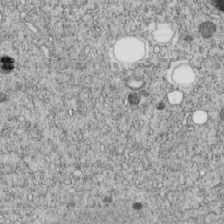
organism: C. elegans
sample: C. elegans embryo early stage